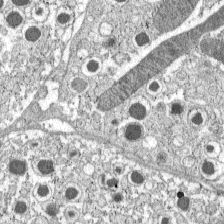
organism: C57BL Mouse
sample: Pancreatic islet